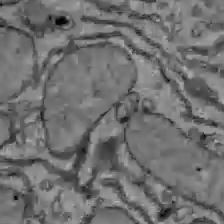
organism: C57BL Mouse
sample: Liver